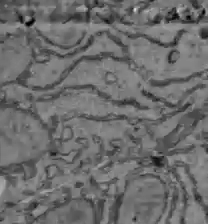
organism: C57BL Mouse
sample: Liver